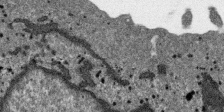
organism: Human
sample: Lung epithelial cells, uninfected (mock) control